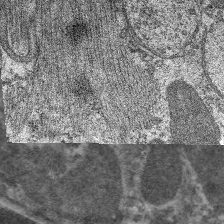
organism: C. elegans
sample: Pharynx